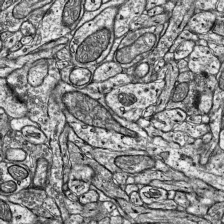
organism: Mouse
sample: Visual Cortex